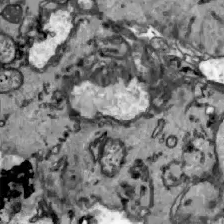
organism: Zebrafish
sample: Actinotrichia fibers